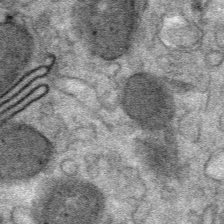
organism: Mouse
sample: Mouse Salivary gland